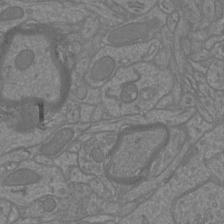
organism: Mouse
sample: Cortical neurons